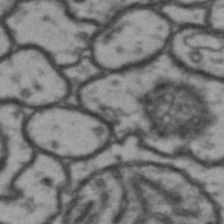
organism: Drosophila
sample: Brain